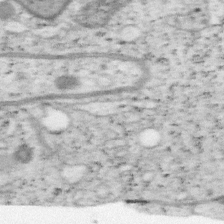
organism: Mouse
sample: OT-I killer T cells with ID8 ovarian cancer cells